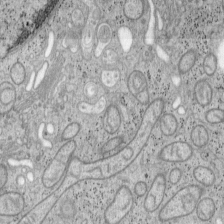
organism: Mouse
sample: OT-I killer T cells with ID8 ovarian cancer cells